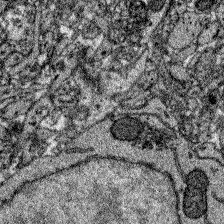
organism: Zebrafish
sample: Larval olfactory bulb